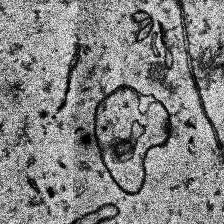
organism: Human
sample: Temporal Lobe